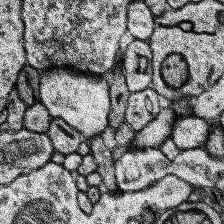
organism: Human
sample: Temporal Lobe